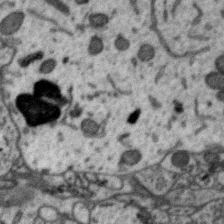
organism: Zebra finch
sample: Brain